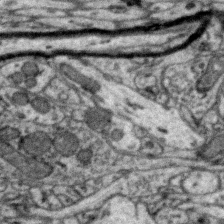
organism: Zebra finch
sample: Brain